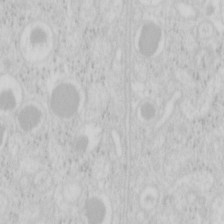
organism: Mouse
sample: Pancreas